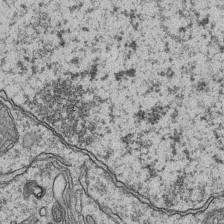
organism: Mouse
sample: CA1 Hippocampus